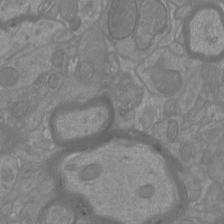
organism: Mouse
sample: Cortical neurons